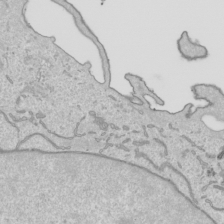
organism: Human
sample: Mitochondria in HCT116 cells